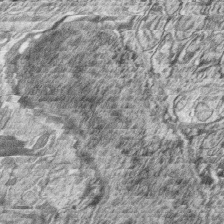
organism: Zebrafish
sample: synaptic ribbons in rod cells and cone cells